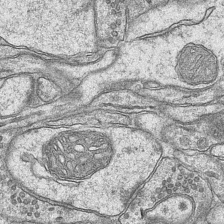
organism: Mouse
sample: CA1 Hippocampus